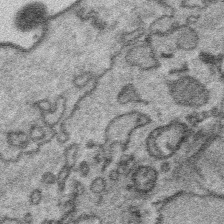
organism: Platynereis dumerilii